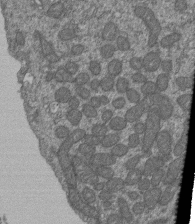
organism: Human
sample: Retinal organoid Rod and Cone cells